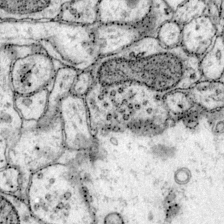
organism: Mouse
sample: Primary visual cortex